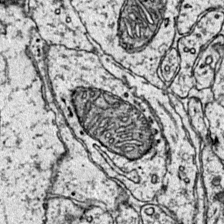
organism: Mouse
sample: Primary visual cortex